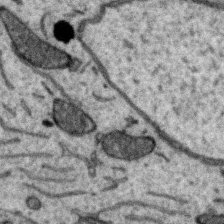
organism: Zebra finch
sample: Brain